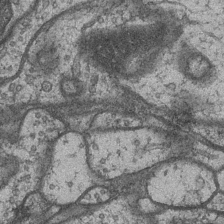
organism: Drosophila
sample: Optic medulla